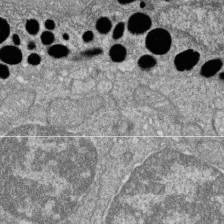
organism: Zebrafish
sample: Cilia; retinal pigment epithelium